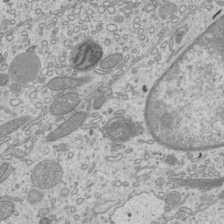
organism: Mouse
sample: Cilia; mouse epididymis